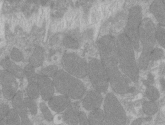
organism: C57BL Mouse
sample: Tibialis anterior muscle cell